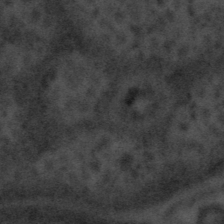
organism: Tuwongella immobilis